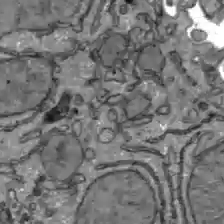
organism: C57BL Mouse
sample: Liver